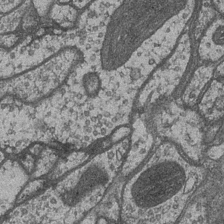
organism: Drosophila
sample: Optic medulla